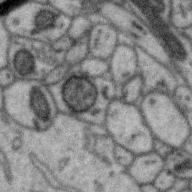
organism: Zebra finch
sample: Brain